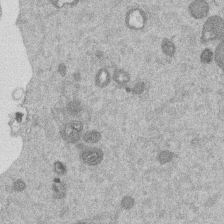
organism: Mouse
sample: Dividing mouse embryo 1 cell stage